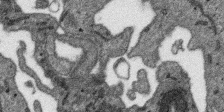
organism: Human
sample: Lung epithelial cells infected with SARS-CoV-2